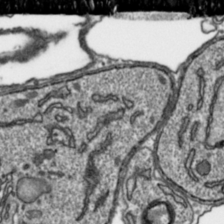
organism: Toxoplasma gondii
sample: Parasites in a vacuole inside a host cell